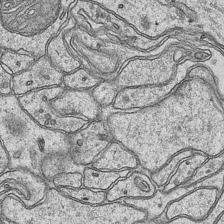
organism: Mouse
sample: CA1 Hippocampus